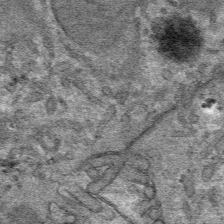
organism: Mouse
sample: Mouse hepatocytes